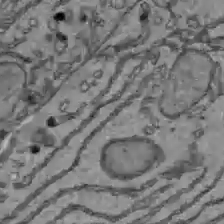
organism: C57BL Mouse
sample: Liver